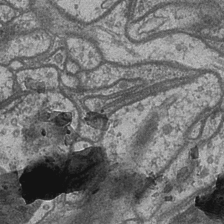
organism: Drosophila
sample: Optic medulla